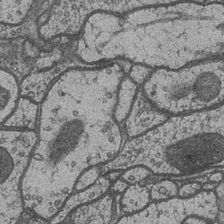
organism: Drosophila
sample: Optic medulla